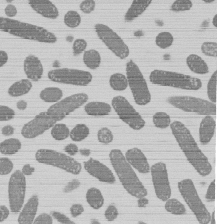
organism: E. coli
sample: Bacterial nucleoid